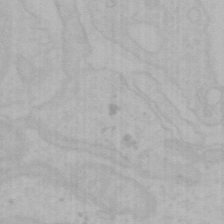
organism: Mouse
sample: Choroid plexus